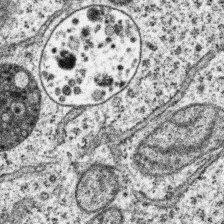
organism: Human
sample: HeLa cells